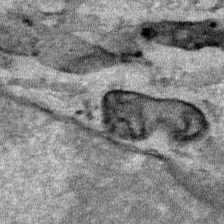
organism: Human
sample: Mitochondria in HCT116 cells